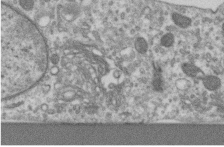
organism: Human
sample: Centriole in RPE cells